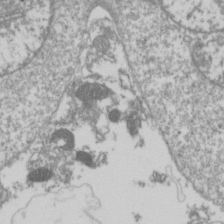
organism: Drosophila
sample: Cell division; meiosis; drosophila spermatocytes